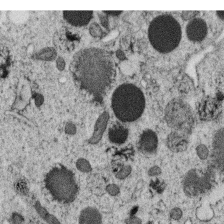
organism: C. elegans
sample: C. elegans oocyte; sperm cells